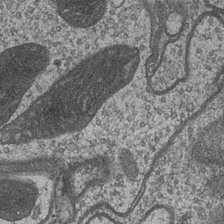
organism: Drosophila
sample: Optic medulla